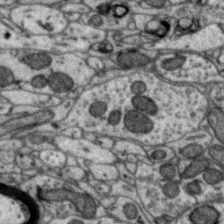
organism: Zebra finch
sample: Brain